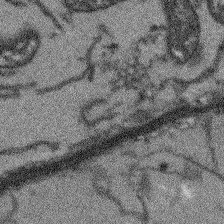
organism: Arabidopsis thaliana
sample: Root tip